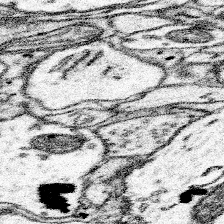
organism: Mouse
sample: Somatosensory cortex neuropil